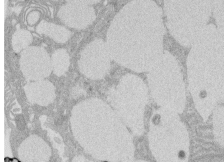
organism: Rat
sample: Salivary granule